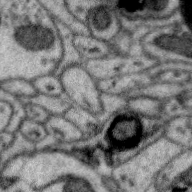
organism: Zebra finch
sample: Brain